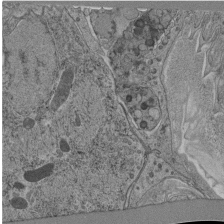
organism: C. elegans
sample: C. elegans pharynx